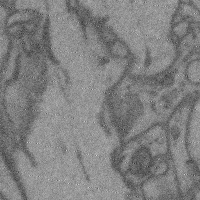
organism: Mouse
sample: Cerebral cortex